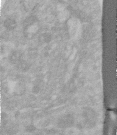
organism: Human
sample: Centriole in RPE cells